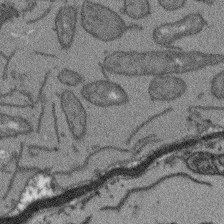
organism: Arabidopsis thaliana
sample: Root tip